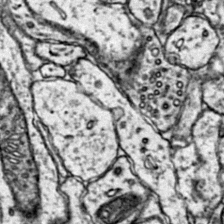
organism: Mouse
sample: Primary visual cortex